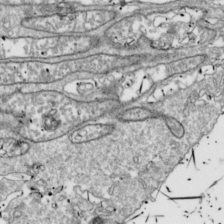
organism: Drosophila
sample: Cell division; meiosis; drosophila spermatocytes